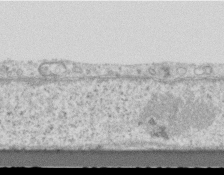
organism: Mouse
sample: Centriole in ependymal cells